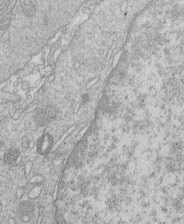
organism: Human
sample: Macrophage cells